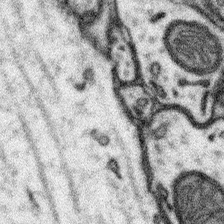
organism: Mouse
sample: Somatosensory cortex neuropil